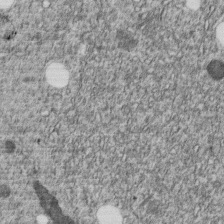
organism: C. elegans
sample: C. elegans embryo early stage